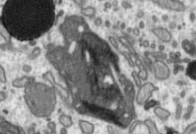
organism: Toxoplasma gondii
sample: Parasites in a vacuole inside a host cell